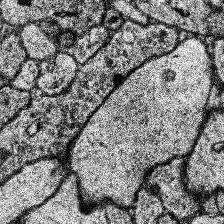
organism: Human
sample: Temporal Lobe